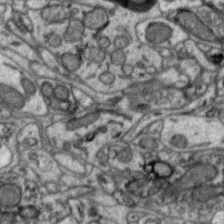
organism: Zebra finch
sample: Brain